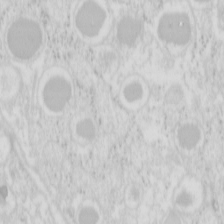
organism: Mouse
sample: Pancreas